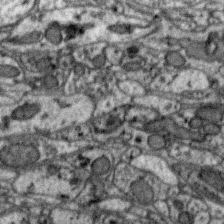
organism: Zebra finch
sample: Brain